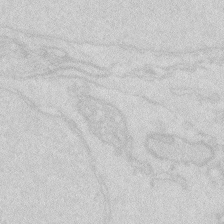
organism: Zebrafish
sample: Macrophage